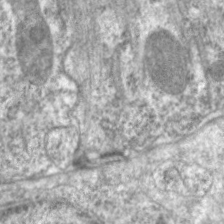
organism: C. elegans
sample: Pharynx